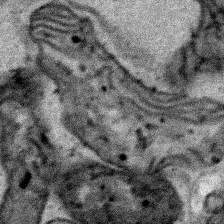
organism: Human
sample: Mitochondria in HCT116 cells